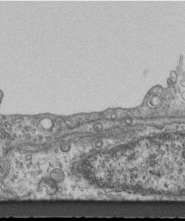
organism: Mouse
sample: Centriole in ependymal cells